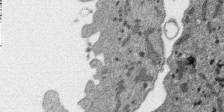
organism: Human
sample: Lung epithelial cells infected with SARS-CoV-2